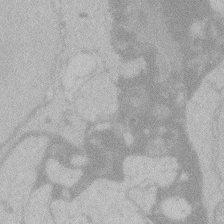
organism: Zebrafish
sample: Macrophage infected with Toxoplasma gondii